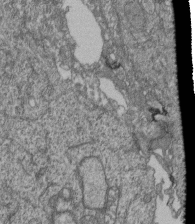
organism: Human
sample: Retinal organoid Rod and Cone cells